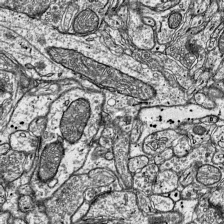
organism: Mouse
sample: Visual Cortex